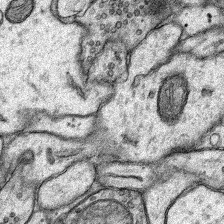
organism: Rat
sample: Hippocampus